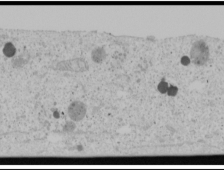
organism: Human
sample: Mitochondria in U2OS cells